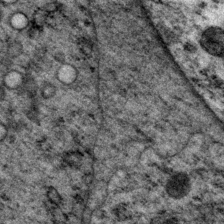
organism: P. pacificus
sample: Pharynx